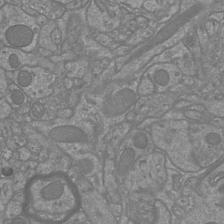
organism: Mouse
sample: Cortical neurons